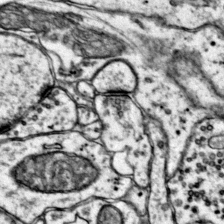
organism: Mouse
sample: Primary visual cortex